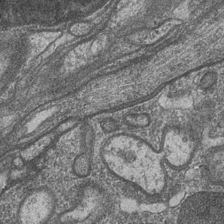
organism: Drosophila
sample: Optic medulla